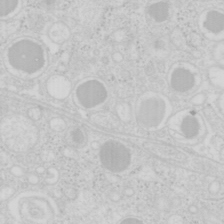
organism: Mouse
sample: Pancreas